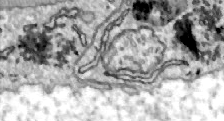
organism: Zebrafish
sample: Actinotrichia fibers